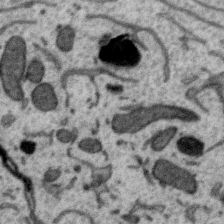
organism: Zebra finch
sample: Brain